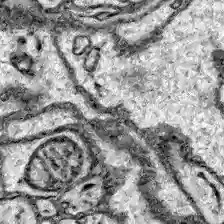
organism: Zebrafish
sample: Brain